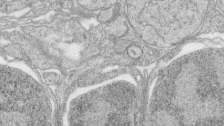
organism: Zebrafish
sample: synaptic ribbons in rod cells and cone cells